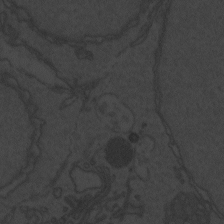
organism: Zebrafish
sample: Macrophage infected with Toxoplasma gondii